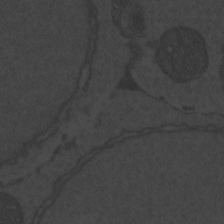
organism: Zebrafish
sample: Macrophage infected with Toxoplasma gondii